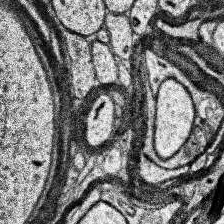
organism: Human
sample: Temporal Lobe